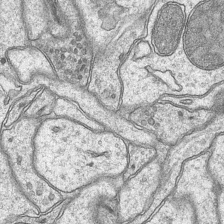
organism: Mouse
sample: CA1 Hippocampus